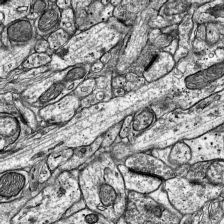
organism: Mouse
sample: Visual Cortex